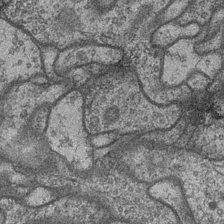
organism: Drosophila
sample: Optic medulla